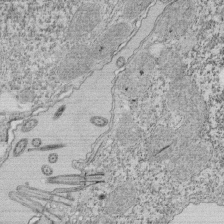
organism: Tetrahymena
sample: Cilia in tetrahymena